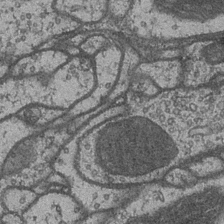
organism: Drosophila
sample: Optic medulla